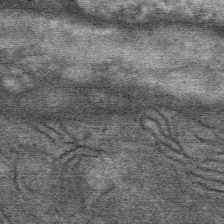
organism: Mouse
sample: Mouse Salivary gland